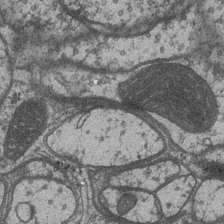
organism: Drosophila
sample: Optic medulla